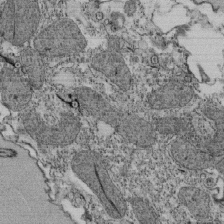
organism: Tetrahymena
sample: Cilia in tetrahymena